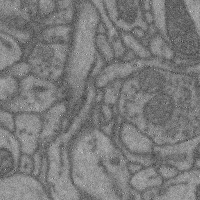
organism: Mouse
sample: Cerebral cortex